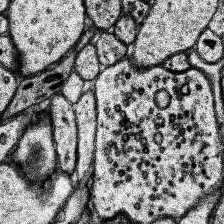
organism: Human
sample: Temporal Lobe